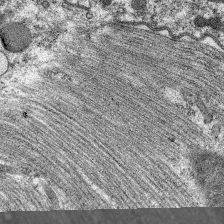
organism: C. elegans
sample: Pharynx